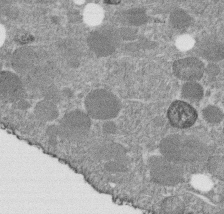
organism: C. elegans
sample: C. elegans embryo early stage